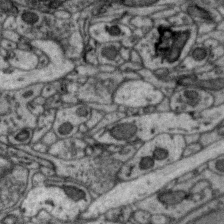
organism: Zebra finch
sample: Brain